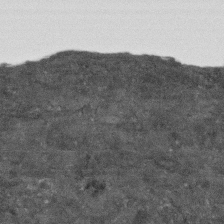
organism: Human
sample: Fibroblast cells